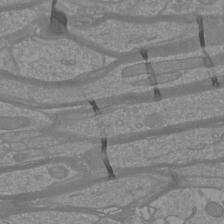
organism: Mouse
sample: Cortical neurons